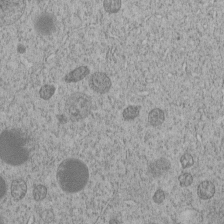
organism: C. elegans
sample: C. elegans embryo early stage